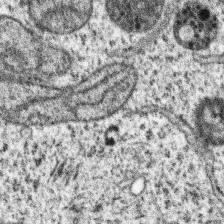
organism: Human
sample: HeLa cells